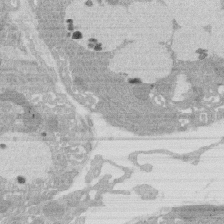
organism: Rat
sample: Salivary granule